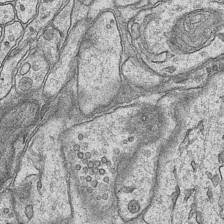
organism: Mouse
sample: CA1 Hippocampus